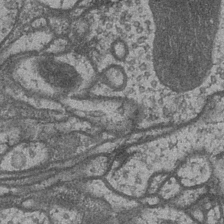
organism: Drosophila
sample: Optic medulla